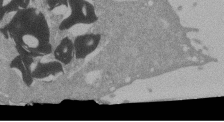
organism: Mouse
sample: ED-1 cell nuclei; centrioles